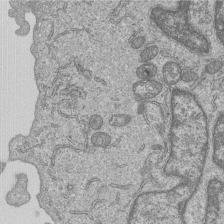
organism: Human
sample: MDA-MB-231 cells